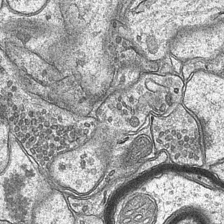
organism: Mouse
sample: CA1 Hippocampus